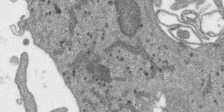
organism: Human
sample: Lung epithelial cells infected with SARS-CoV-2